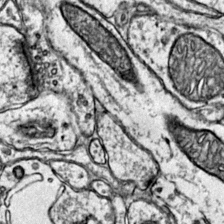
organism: Mouse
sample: Primary visual cortex